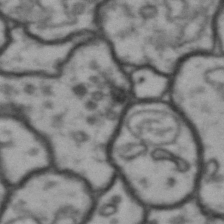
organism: Drosophila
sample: Brain